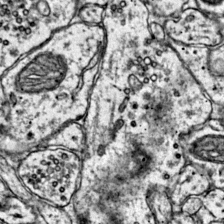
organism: Mouse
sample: Primary visual cortex